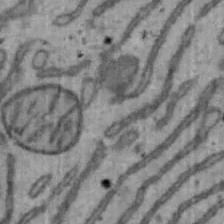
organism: Mouse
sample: Liver